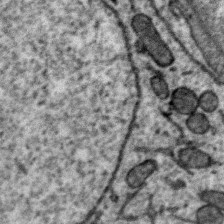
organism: Zebra finch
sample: Brain